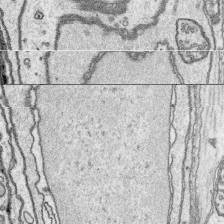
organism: Platynereis dumerilii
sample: Parapodia